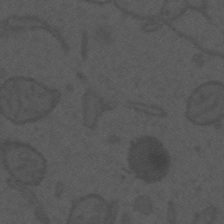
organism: Mouse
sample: Suprachiasmatic nucleus